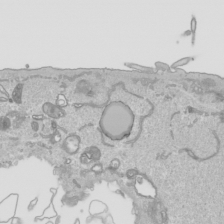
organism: Human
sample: Mitochondria in HCT116 cells